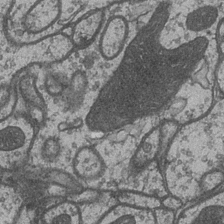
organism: Drosophila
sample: Optic medulla